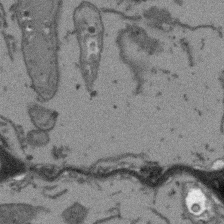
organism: Arabidopsis thaliana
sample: Root tip